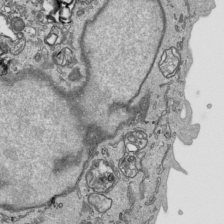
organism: Human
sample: Mitochondria in HCT116 cells